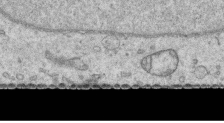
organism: Human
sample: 1205lu cells